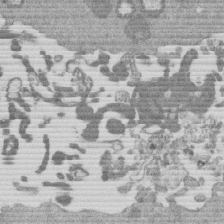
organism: Mouse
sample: Dividing mouse embryo 1 cell stage